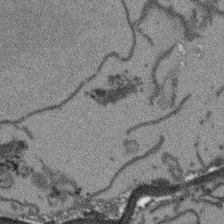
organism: Arabidopsis thaliana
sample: Root tip